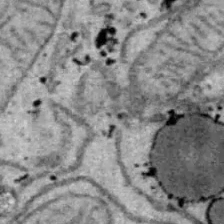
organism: Mouse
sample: Liver from an obese (ob/ob) mouse